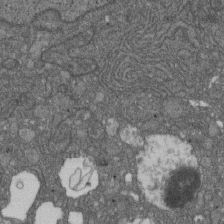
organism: Drosophila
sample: Nephrocyte